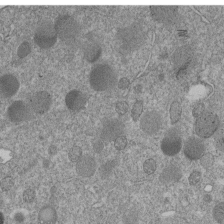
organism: C. elegans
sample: C. elegans embryo early stage